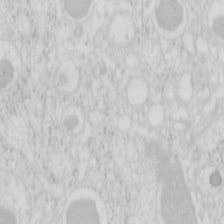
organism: Mouse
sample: Pancreas